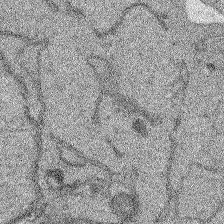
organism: Human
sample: HeLa cells